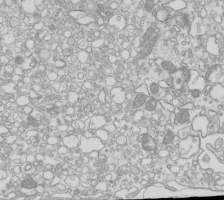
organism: Mouse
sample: Macrophages